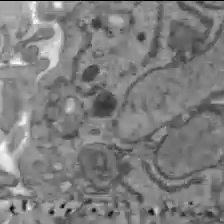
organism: C57BL Mouse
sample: Liver